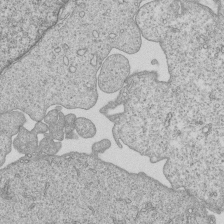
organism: Human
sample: MDA-MB-231 cells